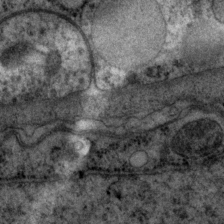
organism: P. pacificus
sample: Pharynx